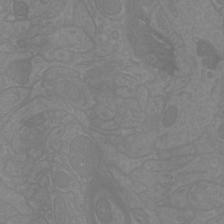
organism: Mouse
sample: Cortical neurons